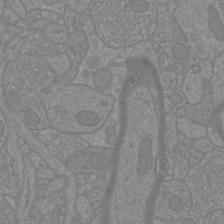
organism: Mouse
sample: Cortical neurons